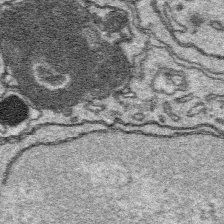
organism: Platynereis dumerilii